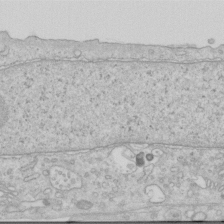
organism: Human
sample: Centriole in RPE cells